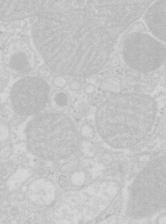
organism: Mouse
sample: Pancreas